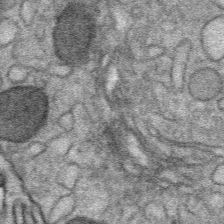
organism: Mouse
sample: Mouse Salivary gland